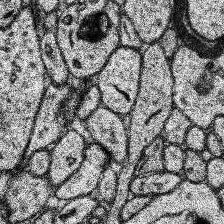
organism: Human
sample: Temporal Lobe